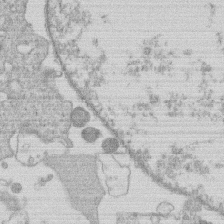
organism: Human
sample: Macrophage cells